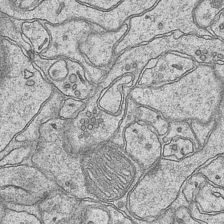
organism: Mouse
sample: CA1 Hippocampus